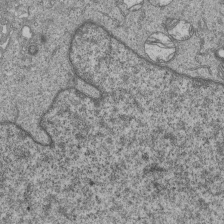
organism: Human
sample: MDA-MB-231 cells